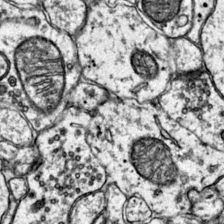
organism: Mouse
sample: Primary visual cortex